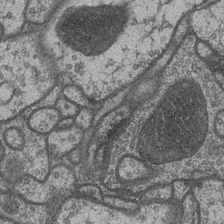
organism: Drosophila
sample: Optic medulla